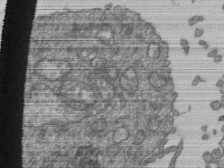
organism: Human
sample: Retinal organoid Rod and Cone cells